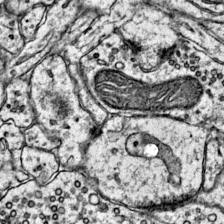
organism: Mouse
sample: Primary visual cortex